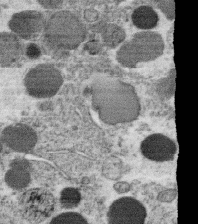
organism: C. elegans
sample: C. elegans oocyte; sperm cells